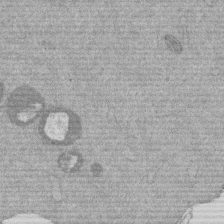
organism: Mouse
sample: Dividing mouse embryo 1 cell stage